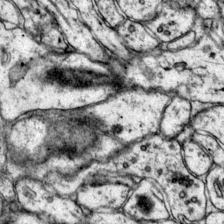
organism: Mouse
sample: Primary visual cortex